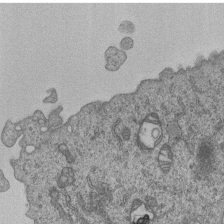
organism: Human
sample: MDA-MB-231 cells